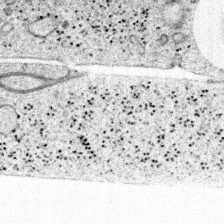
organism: Human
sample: HeLa cells